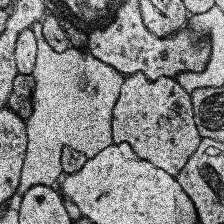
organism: Human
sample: Temporal Lobe